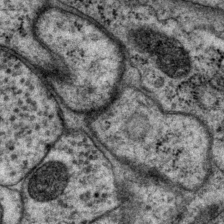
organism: P. pacificus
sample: Pharynx